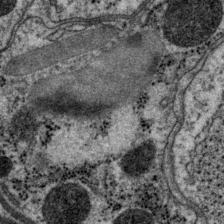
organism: P. pacificus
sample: Pharynx